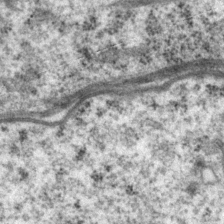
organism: P. pacificus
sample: Pharynx